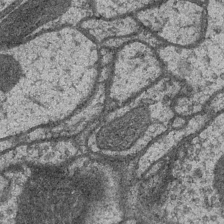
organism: Drosophila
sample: Optic medulla